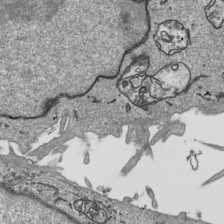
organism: Human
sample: Mitochondria in HCT116 cells